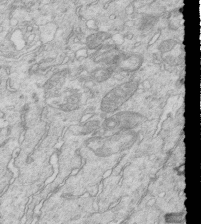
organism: Mouse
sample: Multiciliated cells